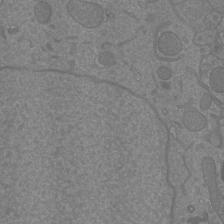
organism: Mouse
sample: Cortical neurons